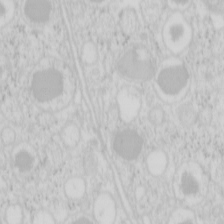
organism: Mouse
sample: Pancreas